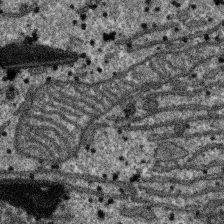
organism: Human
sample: Lung epithelial cells infected with SARS-CoV-2